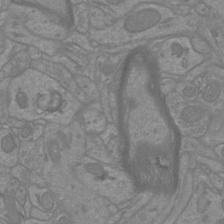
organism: Mouse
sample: Cortical neurons